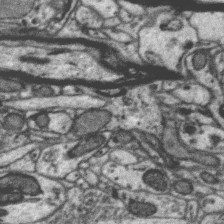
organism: Zebra finch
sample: Brain